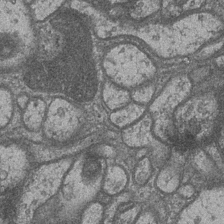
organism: Drosophila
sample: Optic medulla